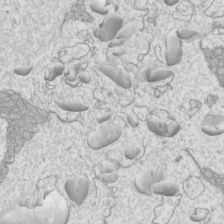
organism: Mouse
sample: Cilia; mouse epididymis